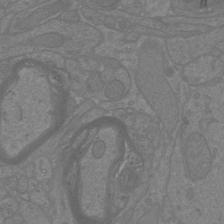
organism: Mouse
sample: Cortical neurons